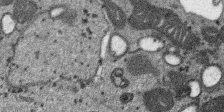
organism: Human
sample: Lung epithelial cells infected with SARS-CoV-2